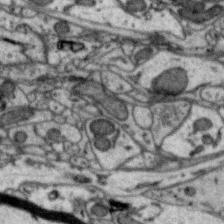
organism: Zebra finch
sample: Brain